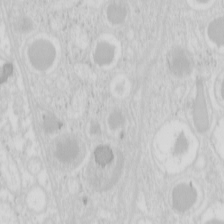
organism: Mouse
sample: Pancreas